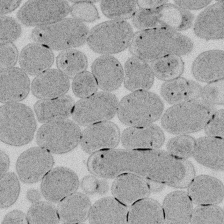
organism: E. coli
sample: Bacterial nucleoid